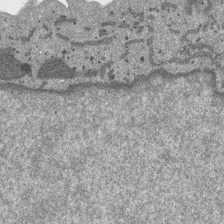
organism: Human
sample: Lung epithelial cells infected with SARS-CoV-2